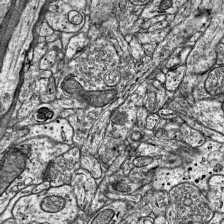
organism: Mouse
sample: Visual Cortex